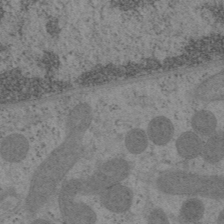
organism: Mouse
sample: OT-I killer T cells with ID8 ovarian cancer cells